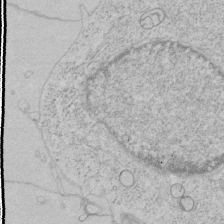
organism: Human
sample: Mitochondria in HCT116 cells